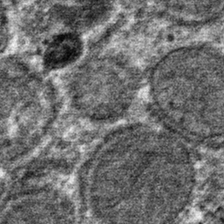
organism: Mouse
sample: Mouse hepatocytes